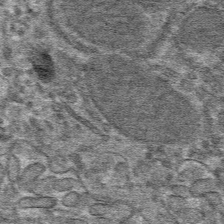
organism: Mouse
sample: Mouse hepatocytes